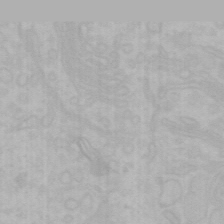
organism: Mouse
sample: Choroid plexus